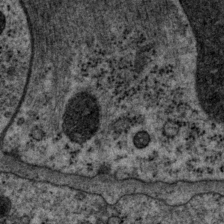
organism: P. pacificus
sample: Pharynx